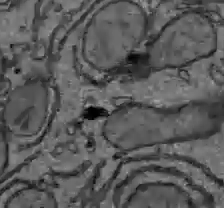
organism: C57BL Mouse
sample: Liver